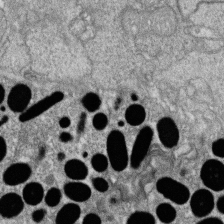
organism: Zebrafish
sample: Cilia; retinal pigment epithelium